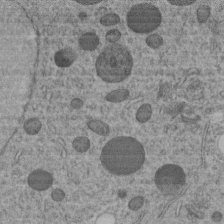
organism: C. elegans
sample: C. elegans embryo early stage